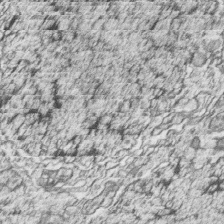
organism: Zebrafish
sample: synaptic ribbons in rod cells and cone cells